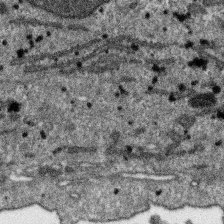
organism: Human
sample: Lung epithelial cells infected with SARS-CoV-2